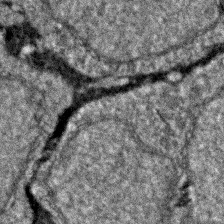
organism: Zebrafish